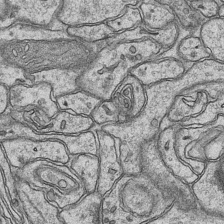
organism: Mouse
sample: CA1 Hippocampus